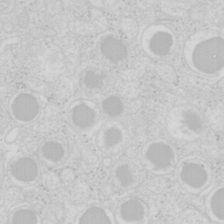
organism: Mouse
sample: Pancreas